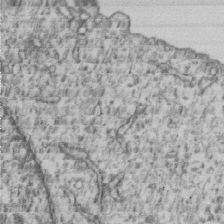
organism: Human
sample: MDA-MB-231 cells